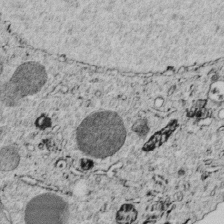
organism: C. elegans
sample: C. elegans embryo early stage